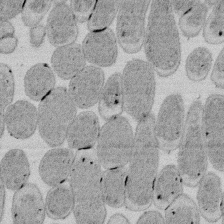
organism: E. coli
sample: Bacterial nucleoid